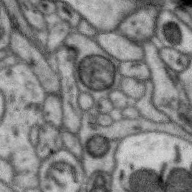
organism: Zebra finch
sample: Brain